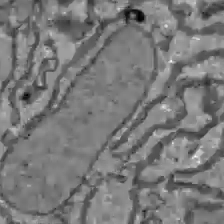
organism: C57BL Mouse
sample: Liver